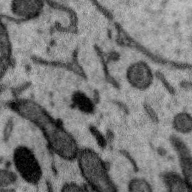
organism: Zebra finch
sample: Brain